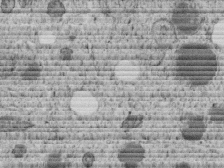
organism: C. elegans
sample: C. elegans embryo early stage